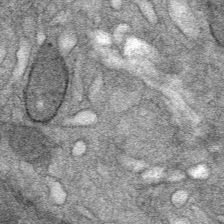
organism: Mouse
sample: Mouse Salivary gland